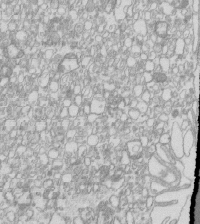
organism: Mouse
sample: Macrophages